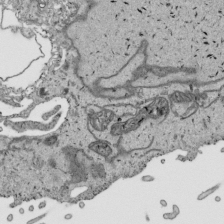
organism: Human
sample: Mitochondria in HCT116 cells